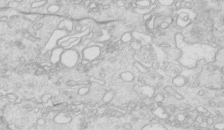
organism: Mouse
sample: Multiciliated cells